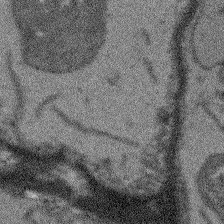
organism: Arabidopsis thaliana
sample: Root tip